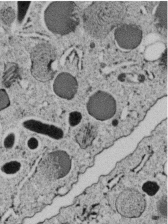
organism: C. elegans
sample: C. elegans embryo early stage